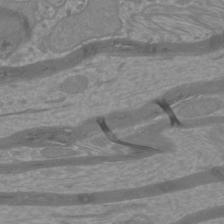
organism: Mouse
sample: Cortical neurons